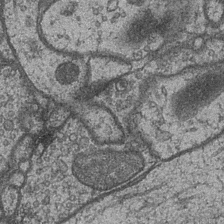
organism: Drosophila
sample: Optic medulla